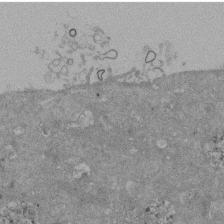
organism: Mouse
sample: ED-1 cell nuclei; centrioles